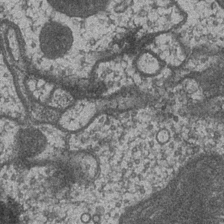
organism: Drosophila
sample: Optic medulla